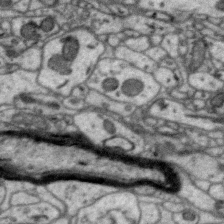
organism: Zebra finch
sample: Brain